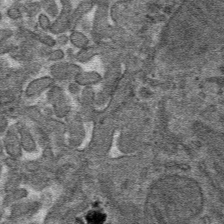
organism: Mouse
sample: Mouse hepatocytes